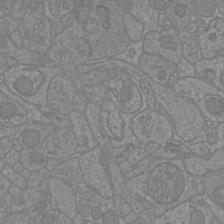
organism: Mouse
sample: Cortical neurons